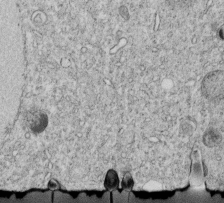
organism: C. elegans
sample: C. elegans embryo early stage